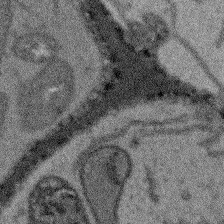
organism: Arabidopsis thaliana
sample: Root tip